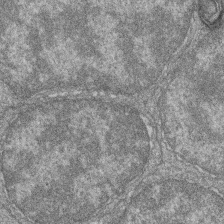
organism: Zebrafish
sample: Cilia; retinal pigment epithelium